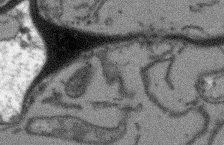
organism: Arabidopsis thaliana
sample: Root tip